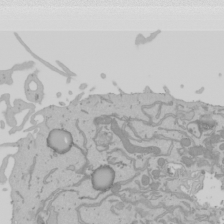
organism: Mouse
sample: Cancer cell death in ED-1 cells